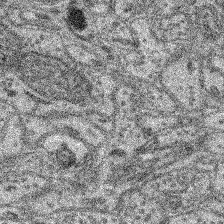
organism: Mouse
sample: Retina